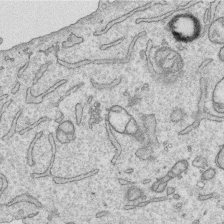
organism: Human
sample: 1205lu cells